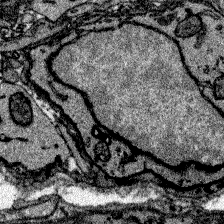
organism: Zebrafish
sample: Larval olfactory bulb